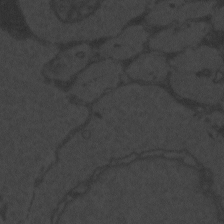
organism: Zebrafish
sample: Macrophage infected with Toxoplasma gondii